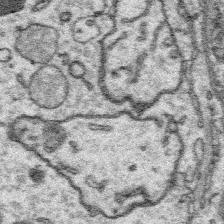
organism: Platynereis dumerilii